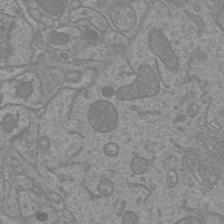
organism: Mouse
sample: Cortical neurons